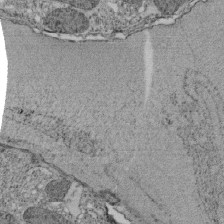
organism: Tetrahymena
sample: Cilia in tetrahymena